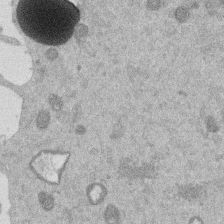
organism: Mouse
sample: Dividing mouse embryo 1 cell stage